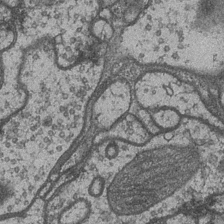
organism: Drosophila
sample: Optic medulla